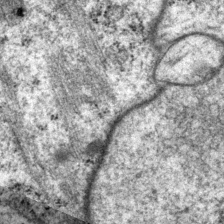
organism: P. pacificus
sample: Pharynx